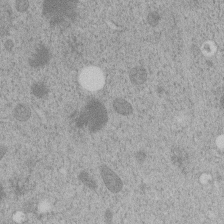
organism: C. elegans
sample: C. elegans embryo early stage